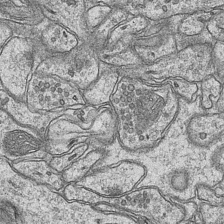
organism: Mouse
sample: CA1 Hippocampus